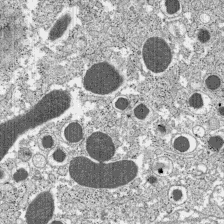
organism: C57BL Mouse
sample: Pancreatic islet